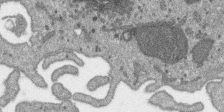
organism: Human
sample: Lung epithelial cells infected with SARS-CoV-2